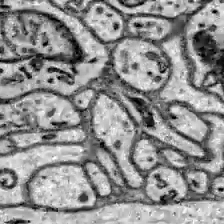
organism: Zebrafish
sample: Brain